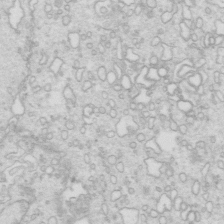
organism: Mouse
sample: Multiciliated cells